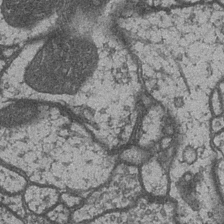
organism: Drosophila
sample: Optic medulla